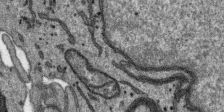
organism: Human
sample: Lung epithelial cells, uninfected (mock) control